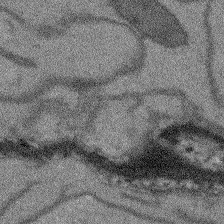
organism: Arabidopsis thaliana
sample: Root tip